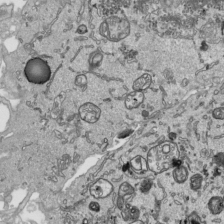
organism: Human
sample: Mitochondria in HCT116 cells